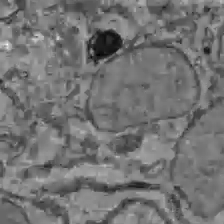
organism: C57BL Mouse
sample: Liver